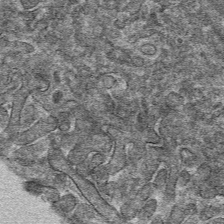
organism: Mouse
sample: Mouse hepatocytes